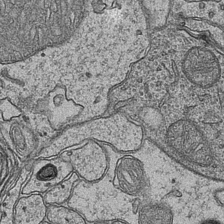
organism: Mouse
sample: CA1 Hippocampus